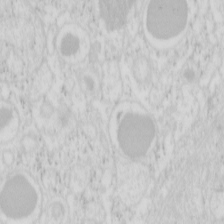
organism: Mouse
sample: Pancreas